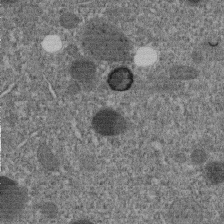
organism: C. elegans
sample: C. elegans embryo early stage